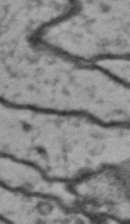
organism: Drosophila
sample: Brain